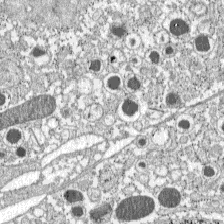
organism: C57BL Mouse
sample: Pancreatic islet